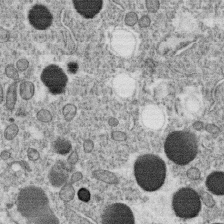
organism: C. elegans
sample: C. elegans oocyte; sperm cells